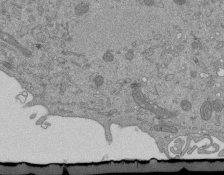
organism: Mouse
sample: ED-1 cell nuclei; centrioles